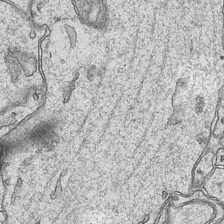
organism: Mouse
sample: CA1 Hippocampus